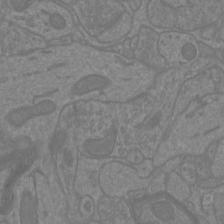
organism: Mouse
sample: Cortical neurons